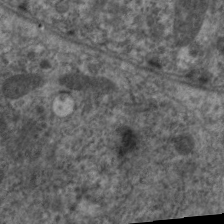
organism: C. elegans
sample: Pharynx